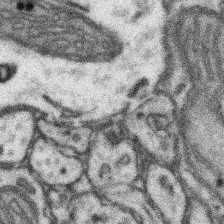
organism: Mouse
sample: Somatosensory cortex neuropil